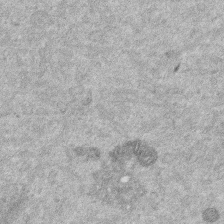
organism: Mouse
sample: Dividing mouse embryo 1 cell stage